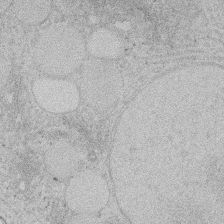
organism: Rat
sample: Salivary granule